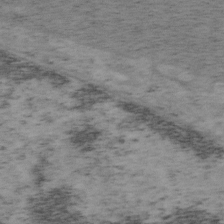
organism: Mouse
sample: OT-I killer T cells with ID8 ovarian cancer cells